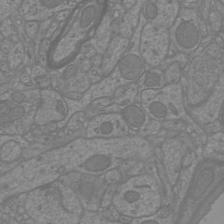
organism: Mouse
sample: Cortical neurons